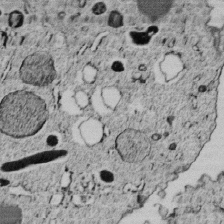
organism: C. elegans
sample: C. elegans embryo early stage